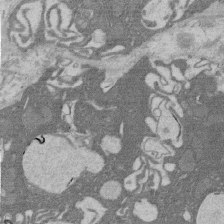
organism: Rat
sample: Salivary granule